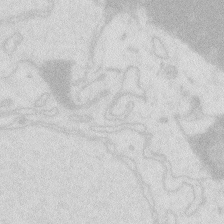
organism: Zebrafish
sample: Macrophage